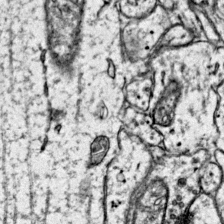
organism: Mouse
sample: Primary visual cortex